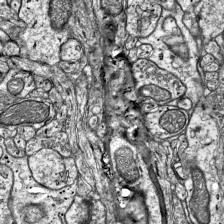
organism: Mouse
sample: Visual Cortex